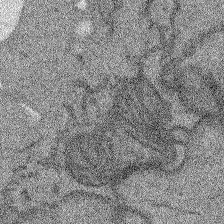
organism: Human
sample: HeLa cells